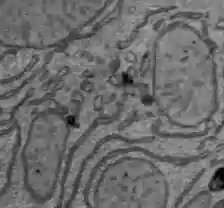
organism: C57BL Mouse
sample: Liver